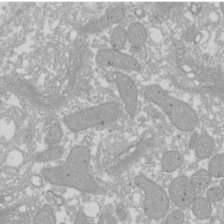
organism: Xenopus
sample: Cilia; centrioles in frog embryo cells